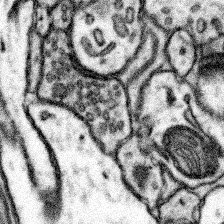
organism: Mouse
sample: Somatosensory cortex neuropil